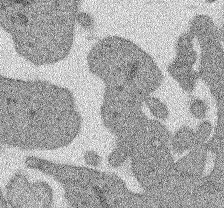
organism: Human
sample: HeLa cells